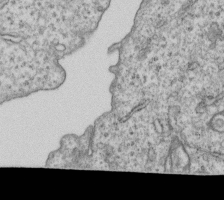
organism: Human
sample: MDA-MB-231 cells